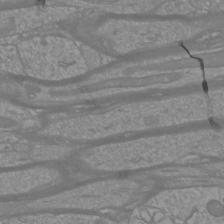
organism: Mouse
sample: Cortical neurons